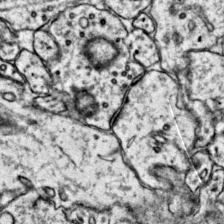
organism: Mouse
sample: Primary visual cortex